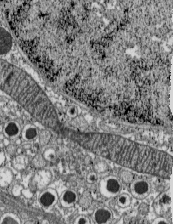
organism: C57BL Mouse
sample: Pancreatic islet